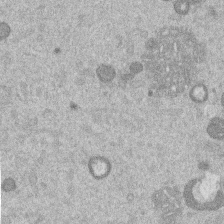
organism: Mouse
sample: Dividing mouse embryo 1 cell stage